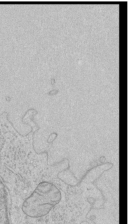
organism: Human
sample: Mitochondria in HCT116 cells